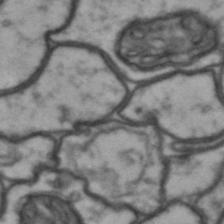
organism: Drosophila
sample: Brain